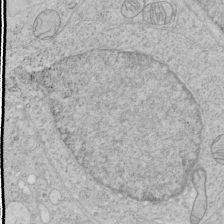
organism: Human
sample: Mitochondria in HCT116 cells